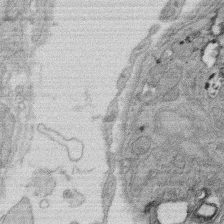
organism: Rat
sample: Salivary granule